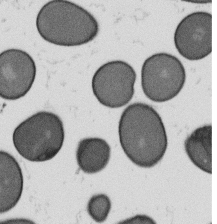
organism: B. subtilis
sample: Bacterial spore